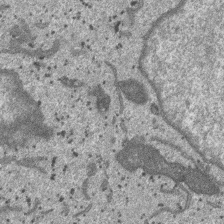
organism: Human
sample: Lung epithelial cells infected with SARS-CoV-2